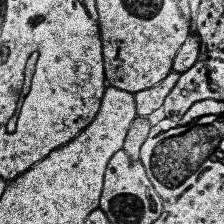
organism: Human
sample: Temporal Lobe